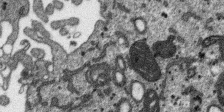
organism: Human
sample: Lung epithelial cells infected with SARS-CoV-2